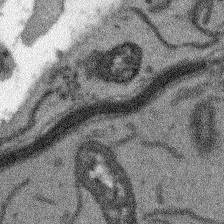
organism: Arabidopsis thaliana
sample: Root tip